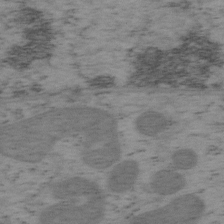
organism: Mouse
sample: OT-I killer T cells with ID8 ovarian cancer cells